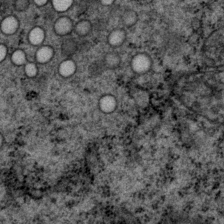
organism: P. pacificus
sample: Pharynx